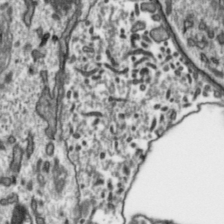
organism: Toxoplasma gondii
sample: Parasites in a vacuole inside a host cell